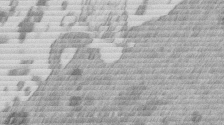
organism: Mouse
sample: Dividing mouse embryo 1 cell stage